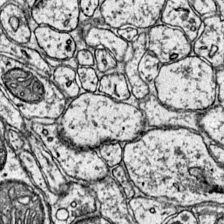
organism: Mouse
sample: Primary visual cortex